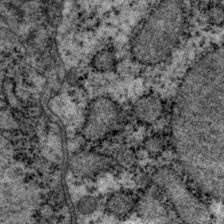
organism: P. pacificus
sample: Pharynx